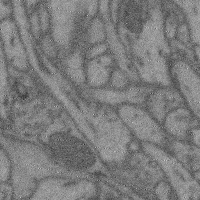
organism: Mouse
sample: Cerebral cortex